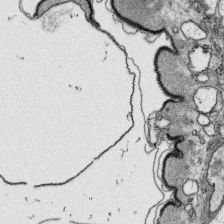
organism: Platynereis dumerilii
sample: Parapodia